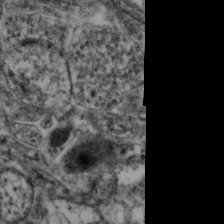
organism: Mouse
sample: Neocortex